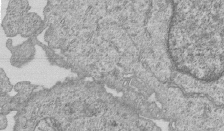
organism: Human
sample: MDA-MB-231 cells